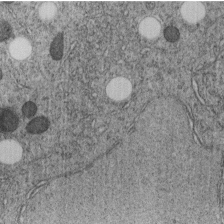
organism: C. elegans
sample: C. elegans embryo early stage